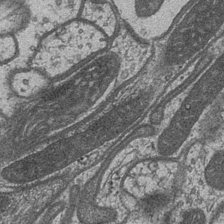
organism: Drosophila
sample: Optic medulla